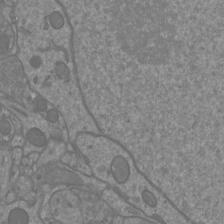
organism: Mouse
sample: Cortical neurons